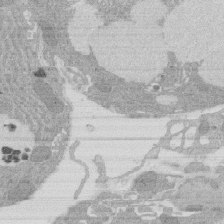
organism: Rat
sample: Salivary granule